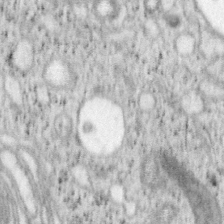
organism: Mouse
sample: OT-I killer T cells with ID8 ovarian cancer cells